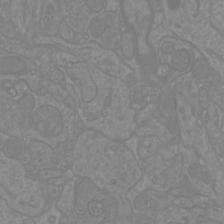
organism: Mouse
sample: Cortical neurons